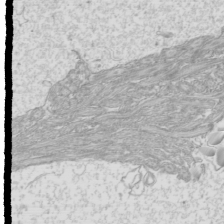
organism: Mouse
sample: Cilia; mouse epididymis